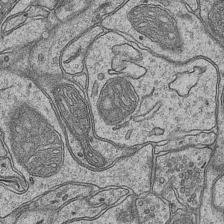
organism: Mouse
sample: CA1 Hippocampus